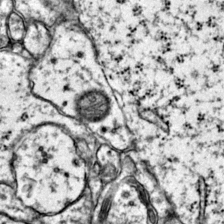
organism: Mouse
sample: Primary visual cortex